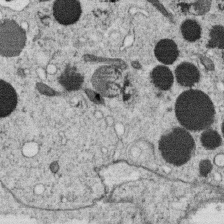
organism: C. elegans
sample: C. elegans oocyte; sperm cells